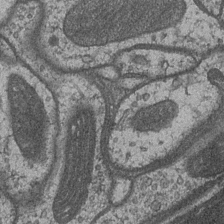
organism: Drosophila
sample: Optic medulla